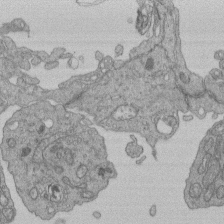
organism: Human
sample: Retinal organoid Rod and Cone cells